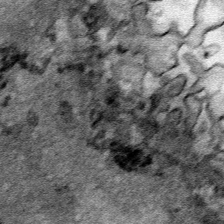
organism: Human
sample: Mitochondria in HCT116 cells